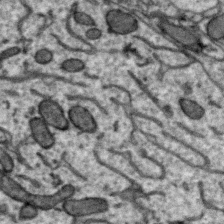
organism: Zebra finch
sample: Brain